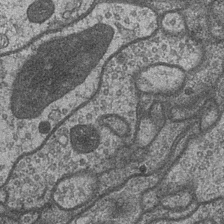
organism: Drosophila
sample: Optic medulla